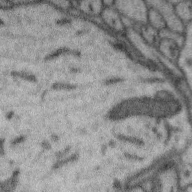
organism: Zebra finch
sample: Brain